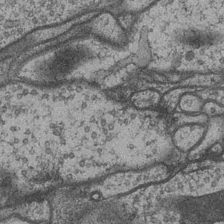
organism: Drosophila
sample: Optic medulla